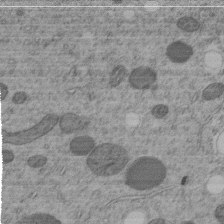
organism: C. elegans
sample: C. elegans embryo early stage